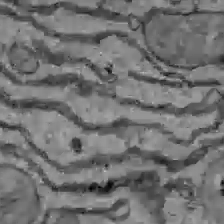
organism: C57BL Mouse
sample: Liver